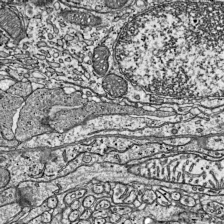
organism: Mouse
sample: Visual Cortex